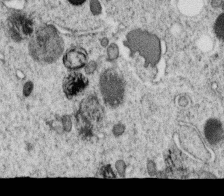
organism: C. elegans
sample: C. elegans oocyte; sperm cells